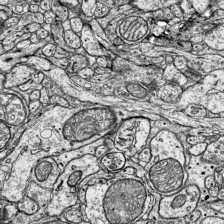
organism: Mouse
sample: Visual Cortex